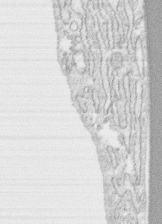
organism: Human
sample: CRL-1474